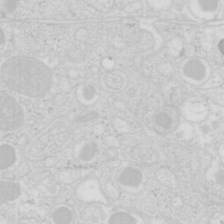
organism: Mouse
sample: Pancreas